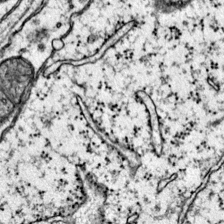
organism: Mouse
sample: Primary visual cortex